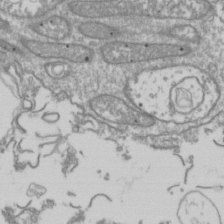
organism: Drosophila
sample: Cell division; meiosis; drosophila spermatocytes